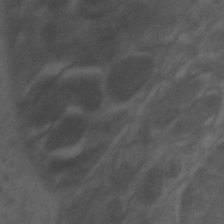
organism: Zebrafish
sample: Zebrafish embryo